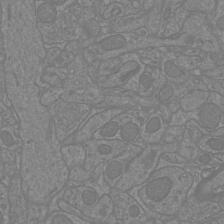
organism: Mouse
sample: Cortical neurons